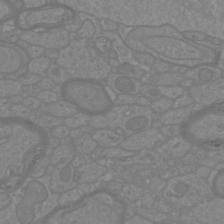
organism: Mouse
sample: Cortical neurons